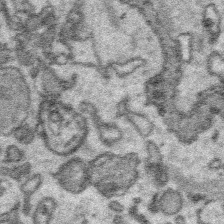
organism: Platynereis dumerilii